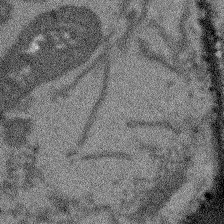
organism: Arabidopsis thaliana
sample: Root tip